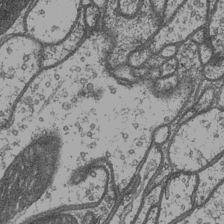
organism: Drosophila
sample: Optic medulla